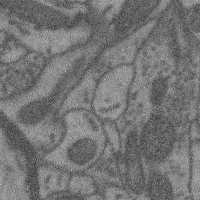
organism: Mouse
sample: Cerebral cortex